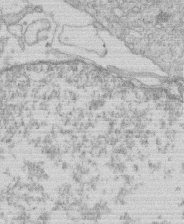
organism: Human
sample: Macrophage cells